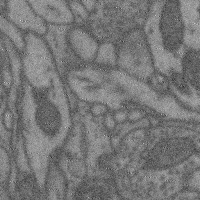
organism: Mouse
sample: Cerebral cortex